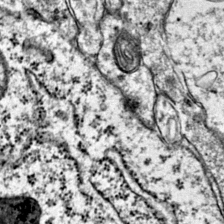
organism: Mouse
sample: Primary visual cortex